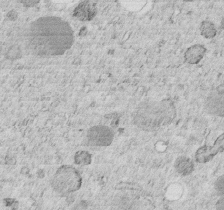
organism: C. elegans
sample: C. elegans embryo early stage